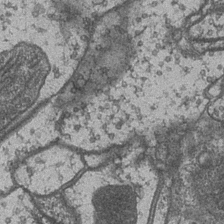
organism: Drosophila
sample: Optic medulla